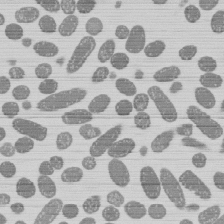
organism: E. coli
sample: Bacterial nucleoid